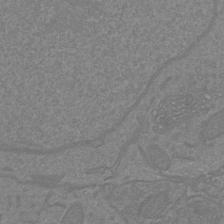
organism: Mouse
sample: Cortical neurons